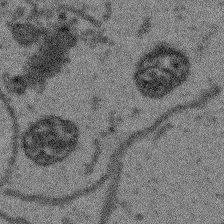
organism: Arabidopsis thaliana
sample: Root tip